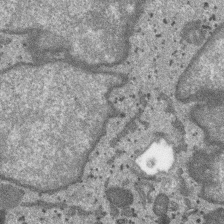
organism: Human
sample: Lung epithelial cells infected with SARS-CoV-2